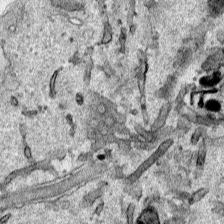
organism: Human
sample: Mitochondria in HCT116 cells